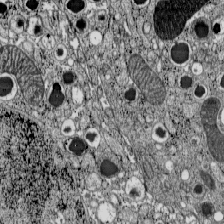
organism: C57BL Mouse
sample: Pancreatic islet